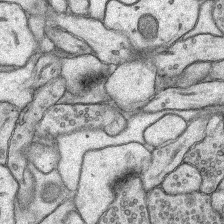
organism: Rat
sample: Hippocampus